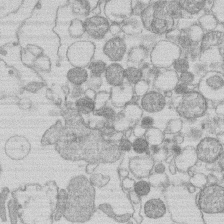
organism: Human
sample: Macrophage cells